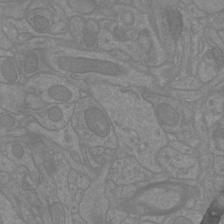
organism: Mouse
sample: Cortical neurons